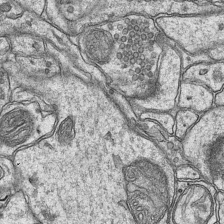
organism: Mouse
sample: CA1 Hippocampus